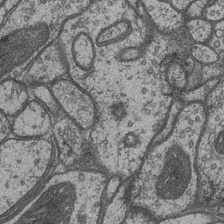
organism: Drosophila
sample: Optic medulla